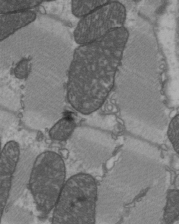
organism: C57BL Mouse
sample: Heart